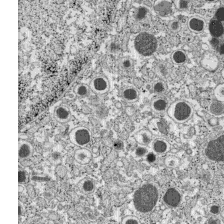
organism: C57BL Mouse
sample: Pancreatic islet